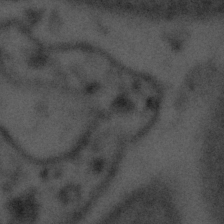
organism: Tuwongella immobilis